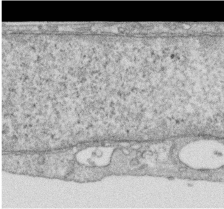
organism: Human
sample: Centriole in RPE cells